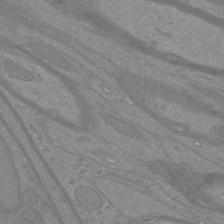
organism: Mouse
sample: Cortical neurons